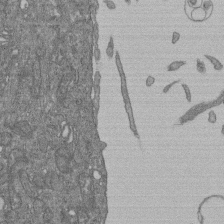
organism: Human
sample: Retinal organoid Rod and Cone cells